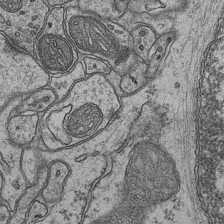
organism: Mouse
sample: CA1 Hippocampus